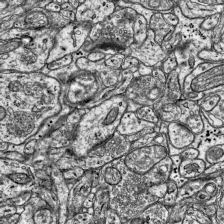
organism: Mouse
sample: Visual Cortex